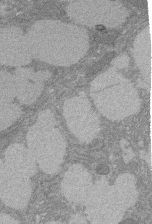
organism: Rat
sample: Salivary granule